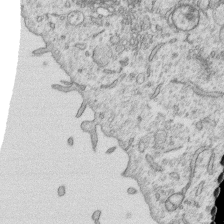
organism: Human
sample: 1205lu cells